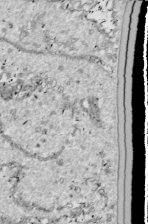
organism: Drosophila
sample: Cell division; meiosis; drosophila spermatocytes